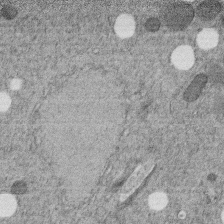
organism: C. elegans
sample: C. elegans embryo early stage